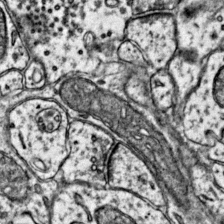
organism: Mouse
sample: Primary visual cortex